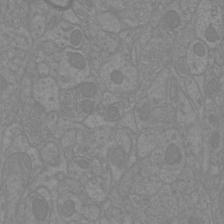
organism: Mouse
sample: Cortical neurons